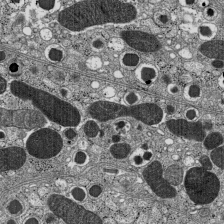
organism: C57BL Mouse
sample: Pancreatic islet